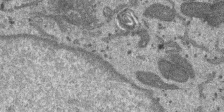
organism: Human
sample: Lung epithelial cells infected with SARS-CoV-2